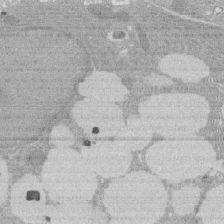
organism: Rat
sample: Salivary granule